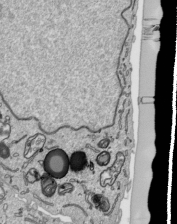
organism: Human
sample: Mitochondria in HCT116 cells